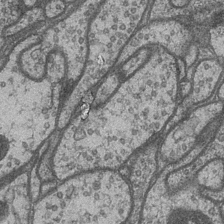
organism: Drosophila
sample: Optic medulla